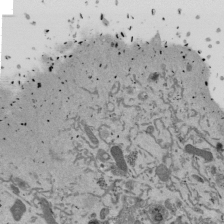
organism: Mouse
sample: ED-1 cell nuclei; centrioles